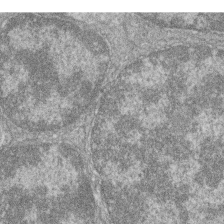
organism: Zebrafish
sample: Cilia; retinal pigment epithelium